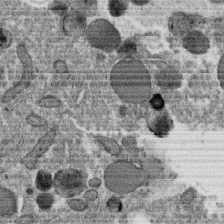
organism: C. elegans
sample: C. elegans oocyte; sperm cells